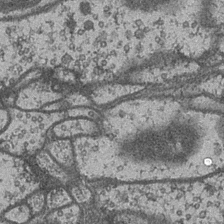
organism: Drosophila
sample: Optic medulla